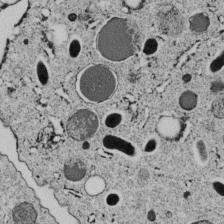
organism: C. elegans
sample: C. elegans embryo early stage